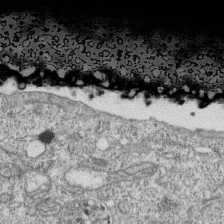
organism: Human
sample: HeLa cell HIV synapse